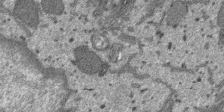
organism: Human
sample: Lung epithelial cells infected with SARS-CoV-2